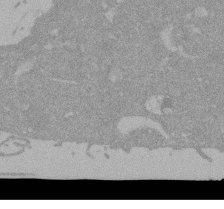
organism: Mouse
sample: ED-1 cell nuclei; centrioles